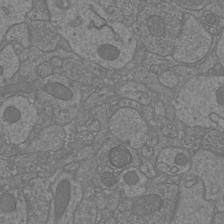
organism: Mouse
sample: Cortical neurons